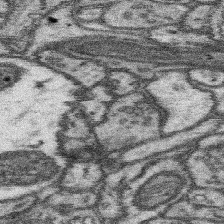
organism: Mouse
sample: Somatosensory cortex neuropil